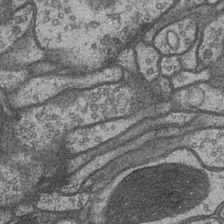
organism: Drosophila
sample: Optic medulla